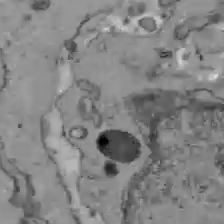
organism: C57BL Mouse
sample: Liver